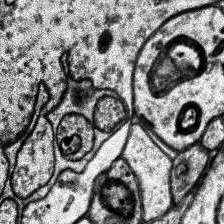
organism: Human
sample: Temporal Lobe